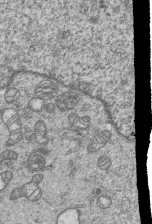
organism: Human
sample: MDA-MB-231 cells